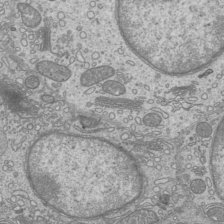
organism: Mouse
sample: Cilia; mouse epididymis